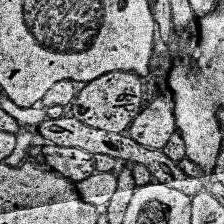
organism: Human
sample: Temporal Lobe